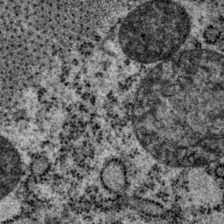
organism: P. pacificus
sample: Pharynx